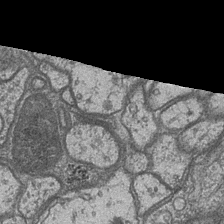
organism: Drosophila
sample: Optic medulla